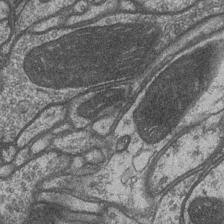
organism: Drosophila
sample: Optic medulla